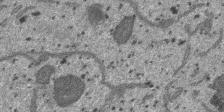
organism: Human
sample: Lung epithelial cells infected with SARS-CoV-2